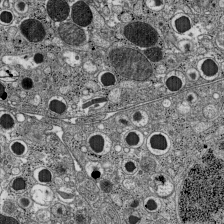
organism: C57BL Mouse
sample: Pancreatic islet